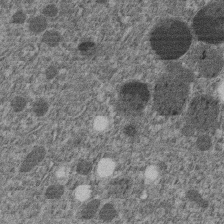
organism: C. elegans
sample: C. elegans embryo early stage